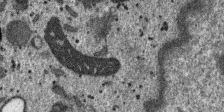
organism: Human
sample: Lung epithelial cells infected with SARS-CoV-2